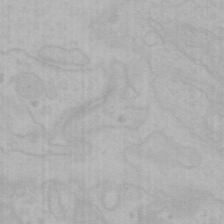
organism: Mouse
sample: Choroid plexus